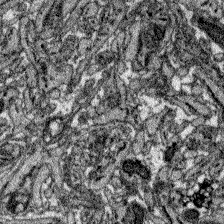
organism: Zebrafish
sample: Larval olfactory bulb